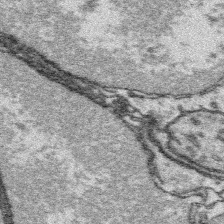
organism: Platynereis dumerilii